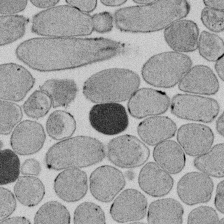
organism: E. coli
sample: Bacterial nucleoid